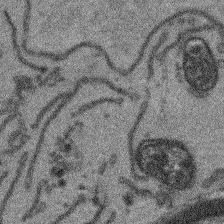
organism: Arabidopsis thaliana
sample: Root tip